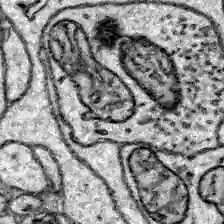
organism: Zebrafish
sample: Brain